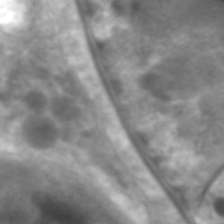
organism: C. elegans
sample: Pharynx